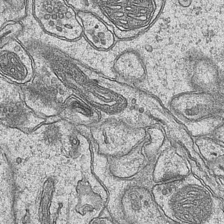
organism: Mouse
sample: CA1 Hippocampus